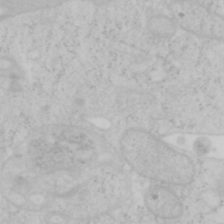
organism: Mouse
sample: OT-I killer T cells with ID8 ovarian cancer cells